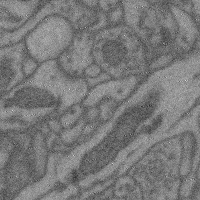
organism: Mouse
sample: Cerebral cortex